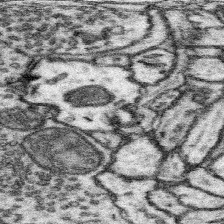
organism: Mouse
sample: Somatosensory cortex neuropil